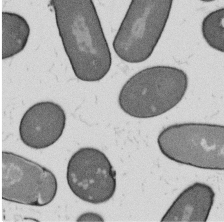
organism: B. subtilis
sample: Bacterial spore